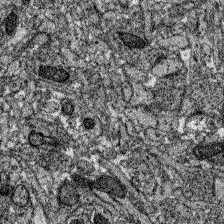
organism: Zebrafish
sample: Larval olfactory bulb